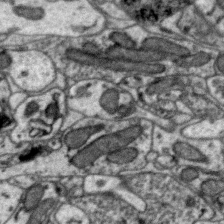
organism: Zebra finch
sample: Brain